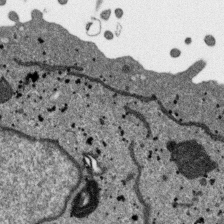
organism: Human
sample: Lung epithelial cells, uninfected (mock) control